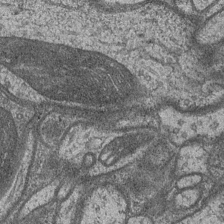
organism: Drosophila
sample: Optic medulla